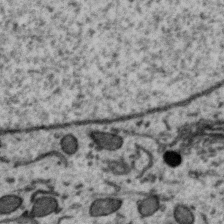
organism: Zebra finch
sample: Brain